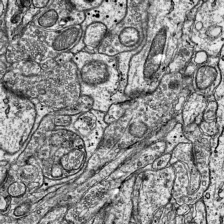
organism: Mouse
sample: Visual Cortex